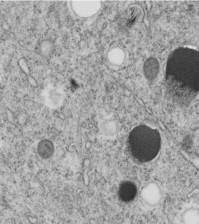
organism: C. elegans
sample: C. elegans embryo early stage